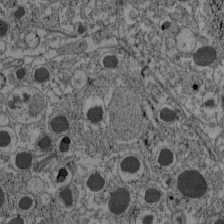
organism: C57BL Mouse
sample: Pancreatic islet